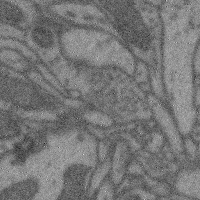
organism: Mouse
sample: Cerebral cortex